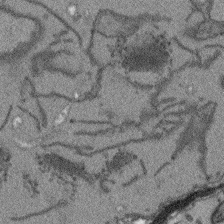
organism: Arabidopsis thaliana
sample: Root tip